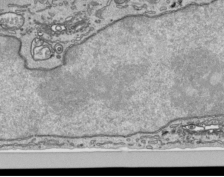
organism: Human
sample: Mitochondria in HCT116 cells